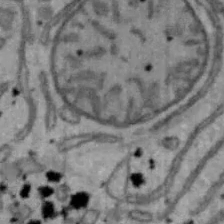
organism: Mouse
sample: Liver